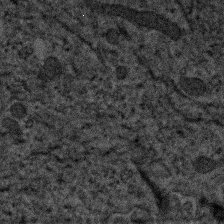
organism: Human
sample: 1205lu cells